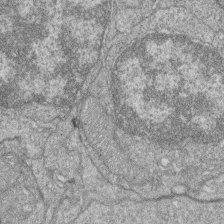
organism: Zebrafish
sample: Cilia; retinal pigment epithelium